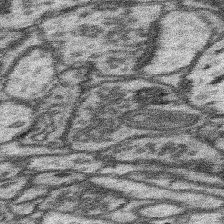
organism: Mouse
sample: Somatosensory cortex neuropil